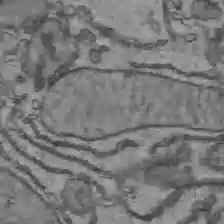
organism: C57BL Mouse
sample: Liver